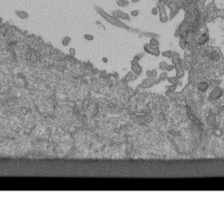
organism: Human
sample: Retinal organoid Rod and Cone cells